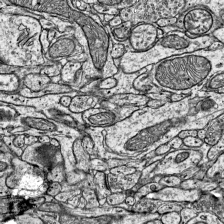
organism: Mouse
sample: Visual Cortex